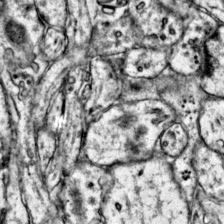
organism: Mouse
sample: Primary visual cortex